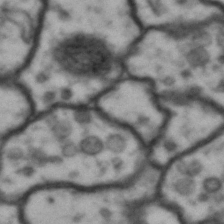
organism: Drosophila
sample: Brain